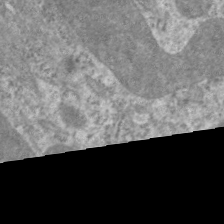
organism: C. elegans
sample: Pharynx